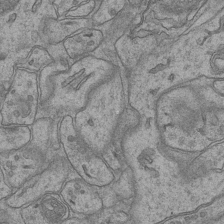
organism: Mouse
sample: CA1 Hippocampus